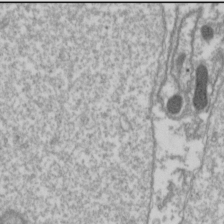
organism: Drosophila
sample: Cell division; meiosis; drosophila spermatocytes